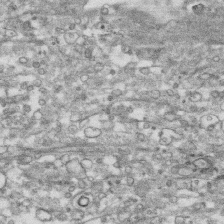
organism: Human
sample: CRL-1474